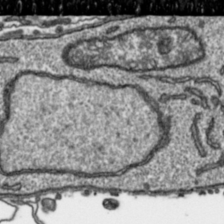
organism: Toxoplasma gondii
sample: Parasites in a vacuole inside a host cell